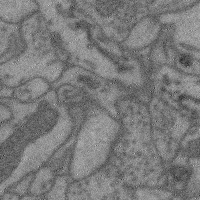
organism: Mouse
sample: Cerebral cortex